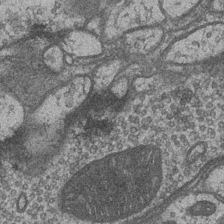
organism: Drosophila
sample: Optic medulla